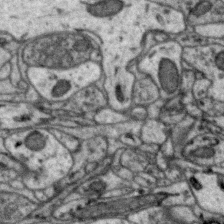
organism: Zebra finch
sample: Brain